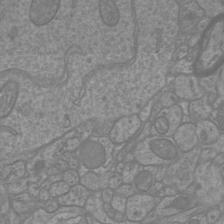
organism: Mouse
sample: Cortical neurons